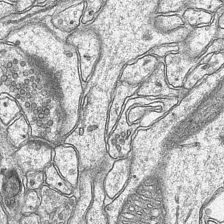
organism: Mouse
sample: CA1 Hippocampus